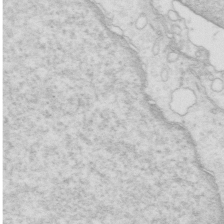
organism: Mouse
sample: Multiciliated cells